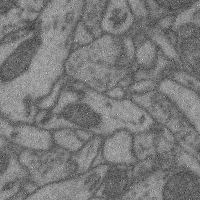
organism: Mouse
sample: Cerebral cortex